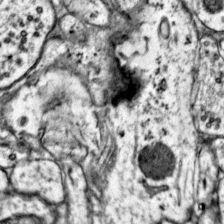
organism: Mouse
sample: Primary visual cortex